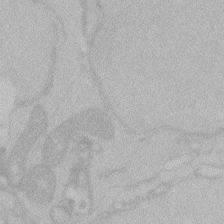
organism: Zebrafish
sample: Macrophage infected with Toxoplasma gondii